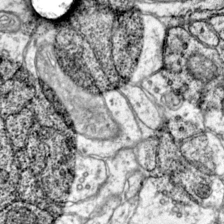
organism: Mouse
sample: Primary visual cortex